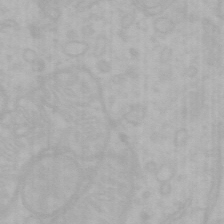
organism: Mouse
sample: Choroid plexus